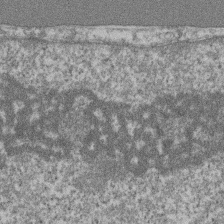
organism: Mouse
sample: T cell stromal cell synapse